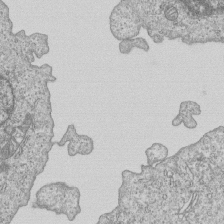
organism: Human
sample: MDA-MB-231 cells